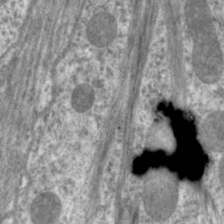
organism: C. elegans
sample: Pharynx